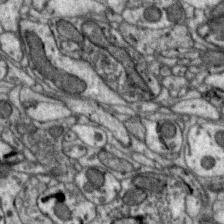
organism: Zebra finch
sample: Brain